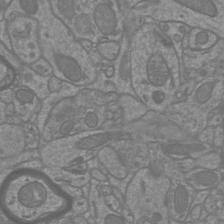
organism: Mouse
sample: Cortical neurons